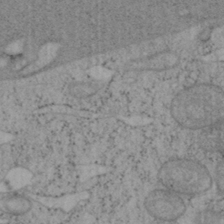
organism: Mouse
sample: OT-I killer T cells with ID8 ovarian cancer cells